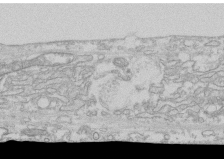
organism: Human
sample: CRL-1474